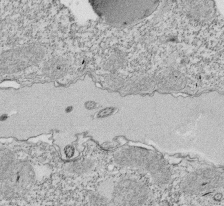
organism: Tetrahymena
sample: Cilia in tetrahymena